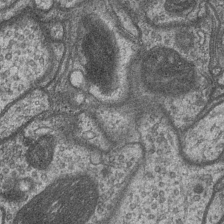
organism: Drosophila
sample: Optic medulla